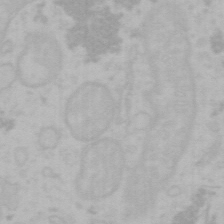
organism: Mouse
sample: Choroid plexus